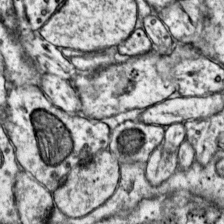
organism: Mouse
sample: Primary visual cortex